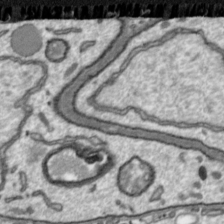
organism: Toxoplasma gondii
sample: Parasites in a vacuole inside a host cell